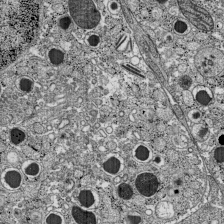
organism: C57BL Mouse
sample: Pancreatic islet